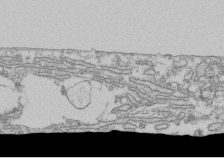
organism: Human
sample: Fibroblast cells